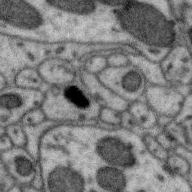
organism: Zebra finch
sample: Brain